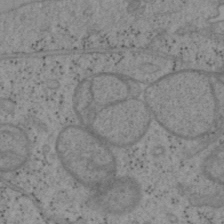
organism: Human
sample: HeLa cells